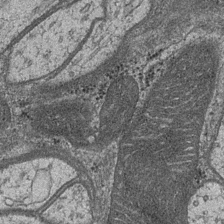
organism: Drosophila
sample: Optic medulla